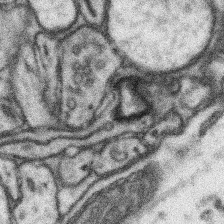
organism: Mouse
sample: Somatosensory cortex neuropil